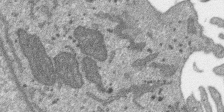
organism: Human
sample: Lung epithelial cells infected with SARS-CoV-2